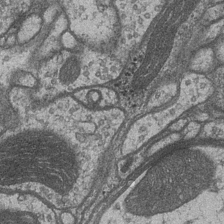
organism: Drosophila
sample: Optic medulla